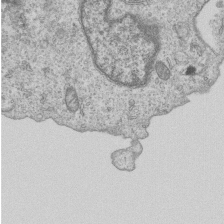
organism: Human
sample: MDA-MB-231 cells